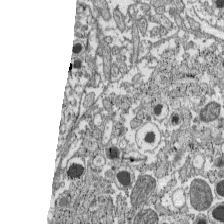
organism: C57BL Mouse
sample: Pancreatic islet